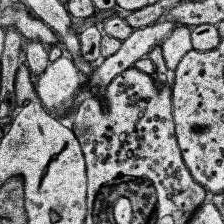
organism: Human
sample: Temporal Lobe